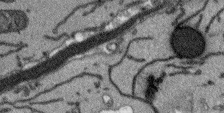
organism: Arabidopsis thaliana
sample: Root tip